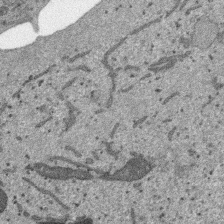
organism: Human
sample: Lung epithelial cells infected with SARS-CoV-2